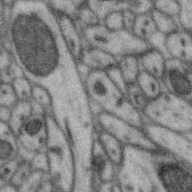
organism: Zebra finch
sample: Brain